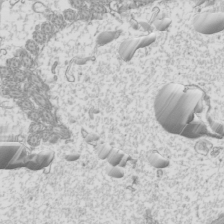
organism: Mouse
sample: Cilia; mouse epididymis